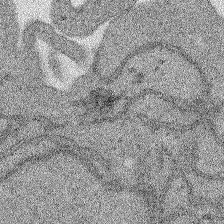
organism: Human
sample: HeLa cells